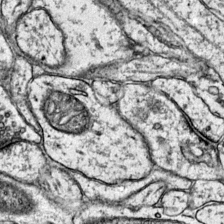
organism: Mouse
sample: Primary visual cortex